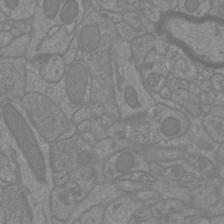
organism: Mouse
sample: Cortical neurons